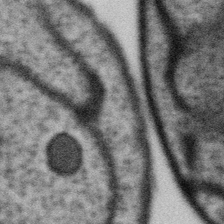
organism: Gemmata obscuriglobus